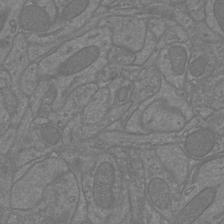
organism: Mouse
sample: Cortical neurons